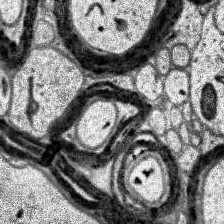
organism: Human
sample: Temporal Lobe